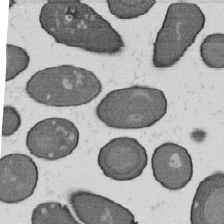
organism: B. subtilis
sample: Bacterial spore